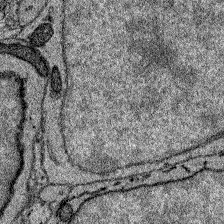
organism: Zebrafish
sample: Larval olfactory bulb